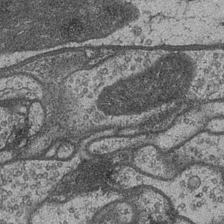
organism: Drosophila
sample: Optic medulla